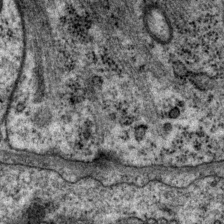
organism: P. pacificus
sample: Pharynx